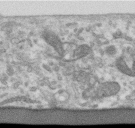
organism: Human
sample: Centriole in RPE cells